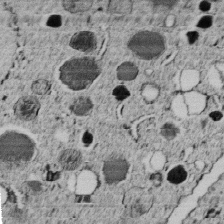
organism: C. elegans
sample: C. elegans embryo early stage